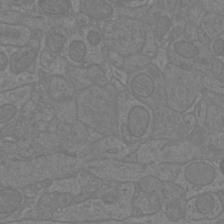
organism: Mouse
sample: Cortical neurons